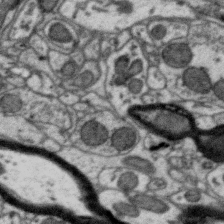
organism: Zebra finch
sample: Brain